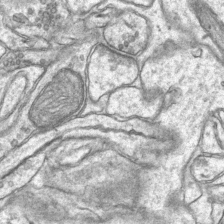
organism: Mouse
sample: CA1 Hippocampus